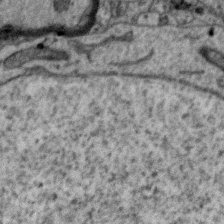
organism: Zebra finch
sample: Brain